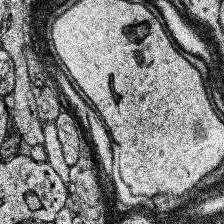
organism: Human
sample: Temporal Lobe